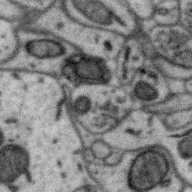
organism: Zebra finch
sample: Brain